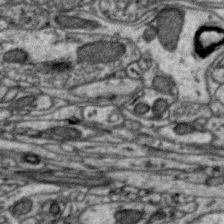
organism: Zebra finch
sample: Brain